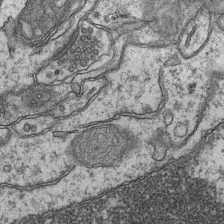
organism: Mouse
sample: CA1 Hippocampus